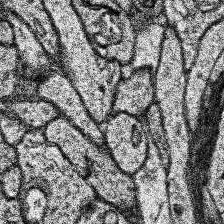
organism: Human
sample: Temporal Lobe